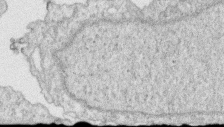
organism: Human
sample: HeLa cell HIV synapse